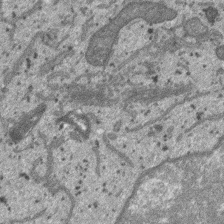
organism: Human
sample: Lung epithelial cells infected with SARS-CoV-2